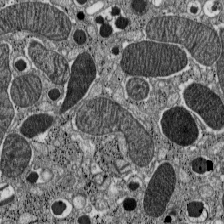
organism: C57BL Mouse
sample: Pancreatic islet